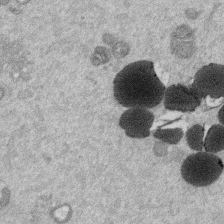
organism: Mouse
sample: Dividing mouse embryo 1 cell stage